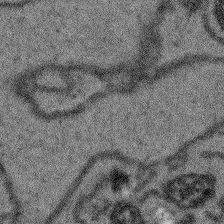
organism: Arabidopsis thaliana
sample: Root tip